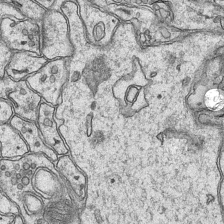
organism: Mouse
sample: CA1 Hippocampus